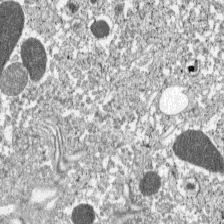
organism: C57BL Mouse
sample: Pancreatic islet